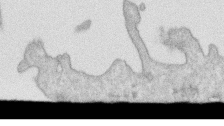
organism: Human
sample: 1205lu cells